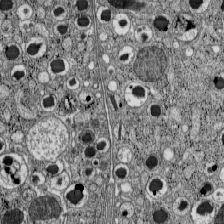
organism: C57BL Mouse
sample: Pancreatic islet